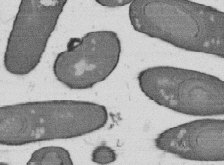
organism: B. subtilis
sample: Bacterial spore